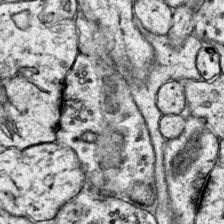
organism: Mouse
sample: Primary visual cortex